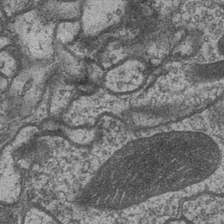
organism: Drosophila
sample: Optic medulla